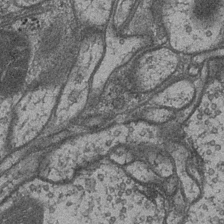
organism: Drosophila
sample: Optic medulla